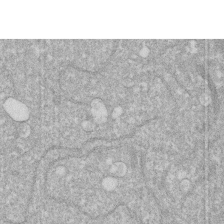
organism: Human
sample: HIV infected U937 cells